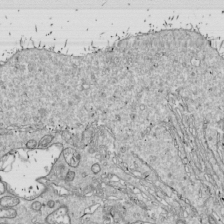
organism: Drosophila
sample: Cell division; meiosis; drosophila spermatocytes